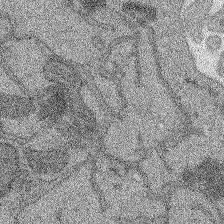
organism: Human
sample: HeLa cells